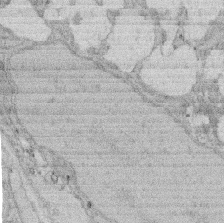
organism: Rat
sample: Salivary granule